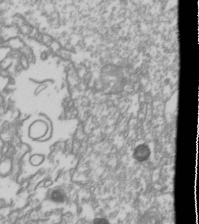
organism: Drosophila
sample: Cell division; meiosis; drosophila spermatocytes